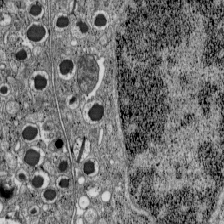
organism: C57BL Mouse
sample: Pancreatic islet